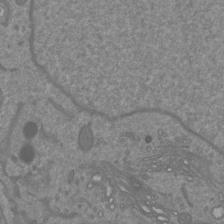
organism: Mouse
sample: Cortical neurons